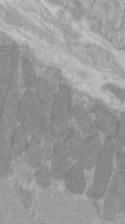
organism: C57BL Mouse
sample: Tibialis anterior muscle cell